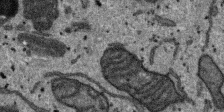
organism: Human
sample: Lung epithelial cells, uninfected (mock) control